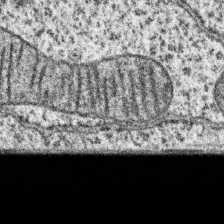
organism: Human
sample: HeLa cells